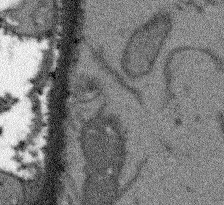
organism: Arabidopsis thaliana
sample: Root tip